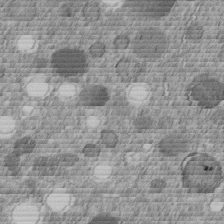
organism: C. elegans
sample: C. elegans embryo early stage